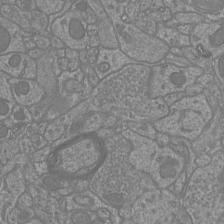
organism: Mouse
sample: Cortical neurons